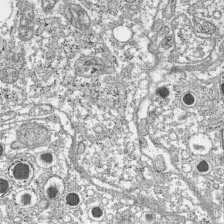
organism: C57BL Mouse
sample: Pancreatic islet